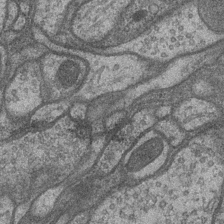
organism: Drosophila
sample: Optic medulla